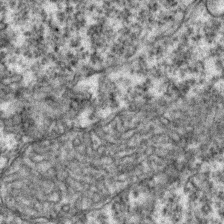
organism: Zebrafish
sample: Zebrafish embryo